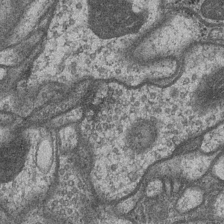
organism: Drosophila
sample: Optic medulla